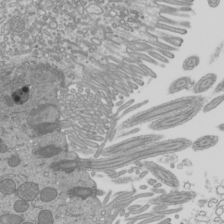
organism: Mouse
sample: Cilia; mouse epididymis